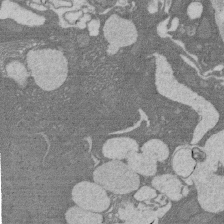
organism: Rat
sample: Salivary granule